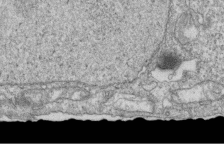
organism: Human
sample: HeLa cell HIV synapse